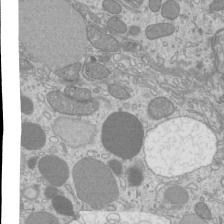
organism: Mouse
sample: Cilia; mouse epididymis